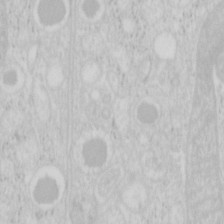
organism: Mouse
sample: Pancreas